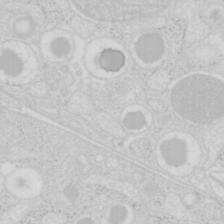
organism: Mouse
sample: Pancreas